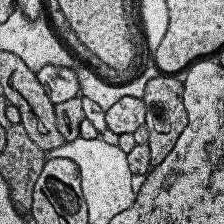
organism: Human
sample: Temporal Lobe